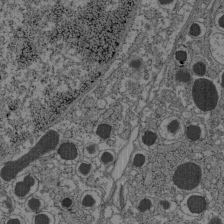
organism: C57BL Mouse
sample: Pancreatic islet